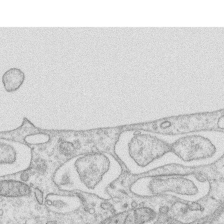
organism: Human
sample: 1205lu cells